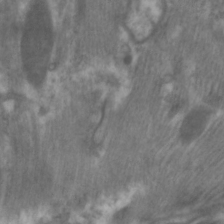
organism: C. elegans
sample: Pharynx